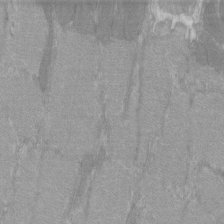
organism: C57BL Mouse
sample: Tibialis anterior muscle cell